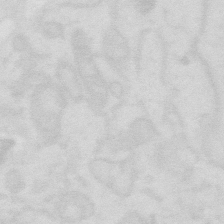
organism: Human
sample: HeLa cells